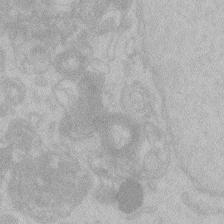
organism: Zebrafish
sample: Macrophage infected with Toxoplasma gondii